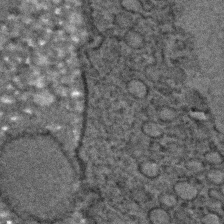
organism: C. elegans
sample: C. elegans embryo